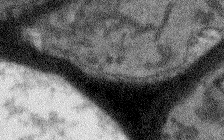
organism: Arabidopsis thaliana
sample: Root tip